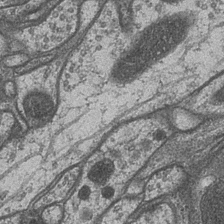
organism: Drosophila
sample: Optic medulla